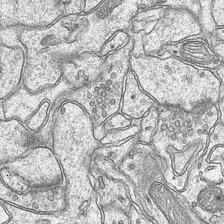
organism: Mouse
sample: CA1 Hippocampus